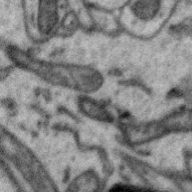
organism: Zebra finch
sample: Brain